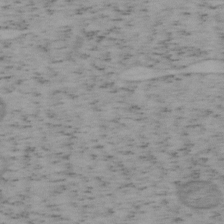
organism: Mouse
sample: OT-I killer T cells with ID8 ovarian cancer cells